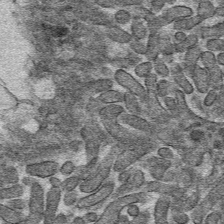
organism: Mouse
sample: Mouse hepatocytes